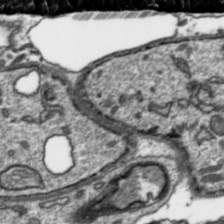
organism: Toxoplasma gondii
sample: Parasites in a vacuole inside a host cell